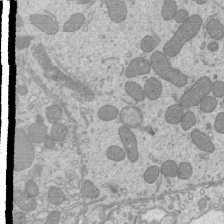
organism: Mouse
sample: Cilia; mouse epididymis